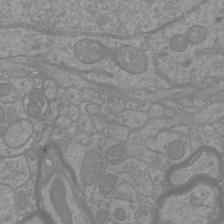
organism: Mouse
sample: Cortical neurons